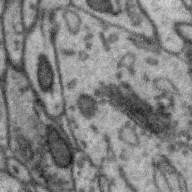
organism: Zebra finch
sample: Brain